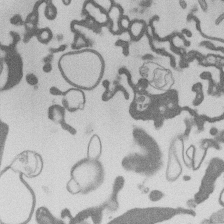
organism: Mouse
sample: Dividing mouse embryo 1 cell stage